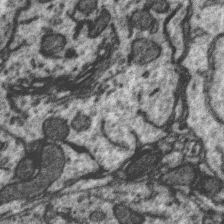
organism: Zebra finch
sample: Brain